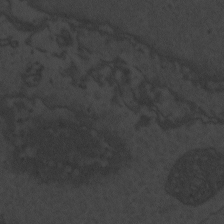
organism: Zebrafish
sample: Macrophage infected with Toxoplasma gondii